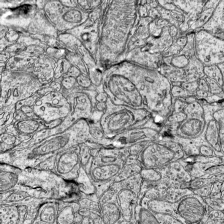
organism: Mouse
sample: Visual Cortex